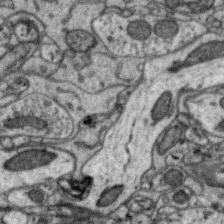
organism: Zebra finch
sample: Brain